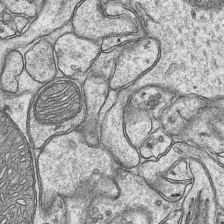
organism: Mouse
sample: CA1 Hippocampus